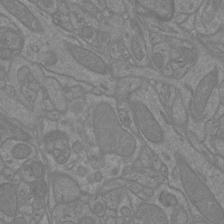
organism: Mouse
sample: Cortical neurons